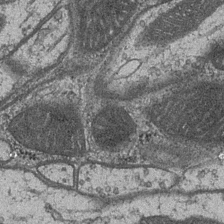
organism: Drosophila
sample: Optic medulla